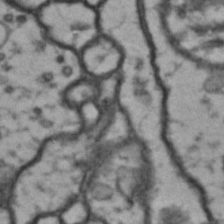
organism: Drosophila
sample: Brain